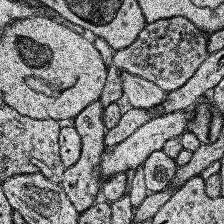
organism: Human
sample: Temporal Lobe